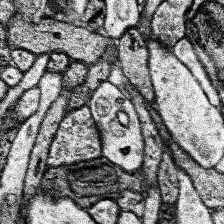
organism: Human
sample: Temporal Lobe